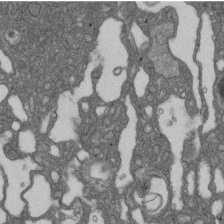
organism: Drosophila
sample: Nephrocyte